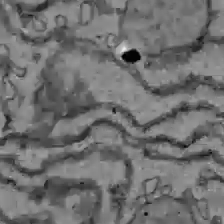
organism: C57BL Mouse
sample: Liver